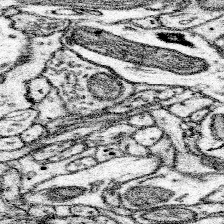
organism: Mouse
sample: Somatosensory cortex neuropil